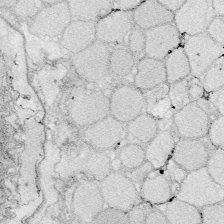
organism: Zebrafish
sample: Whole-Brain